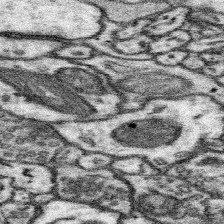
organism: Mouse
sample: Somatosensory cortex neuropil